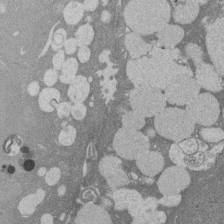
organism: Rat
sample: Salivary granule